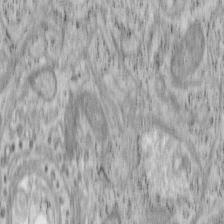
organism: Human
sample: HeLa cells